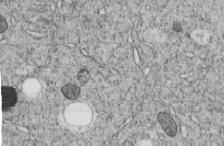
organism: C. elegans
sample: C. elegans embryo early stage